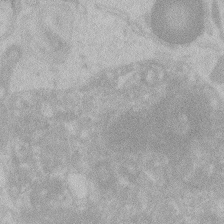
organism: Zebrafish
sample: Macrophage infected with Toxoplasma gondii